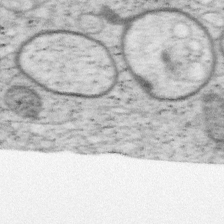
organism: Mouse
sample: OT-I killer T cells with ID8 ovarian cancer cells